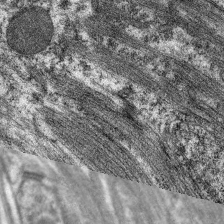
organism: C. elegans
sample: Pharynx